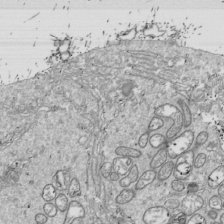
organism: Drosophila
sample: Cell division; meiosis; drosophila spermatocytes